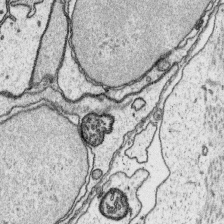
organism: Platynereis dumerilii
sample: Parapodia